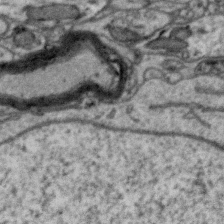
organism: Zebra finch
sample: Brain